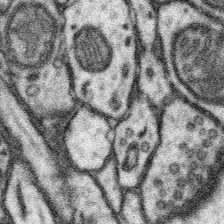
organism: Mouse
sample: Somatosensory cortex neuropil